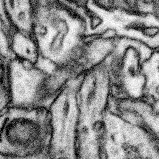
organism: Mouse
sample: Somatosensory cortex neuropil